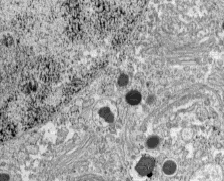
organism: C57BL Mouse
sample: Pancreatic islet